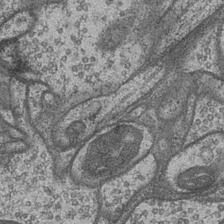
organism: Drosophila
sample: Optic medulla